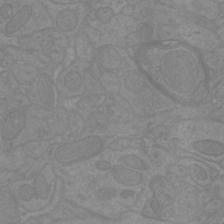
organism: Mouse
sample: Cortical neurons